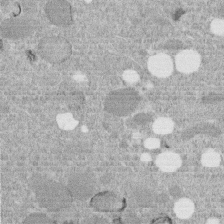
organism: C. elegans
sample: C. elegans embryo early stage